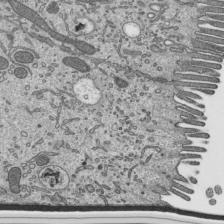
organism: Mouse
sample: Mouse epididymis efferent ductule cilia